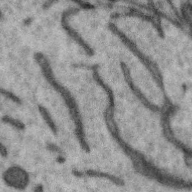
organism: Zebra finch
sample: Brain